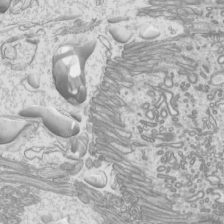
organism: Mouse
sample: Cilia; mouse epididymis